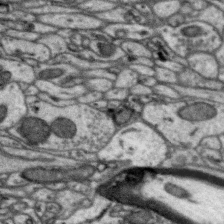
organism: Zebra finch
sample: Brain